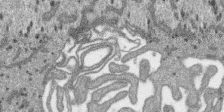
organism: Human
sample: Lung epithelial cells infected with SARS-CoV-2